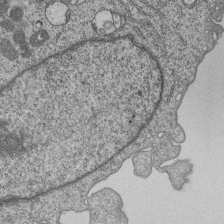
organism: Human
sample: MDA-MB-231 cells